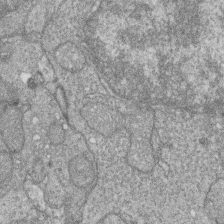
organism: Zebrafish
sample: Cilia; retinal pigment epithelium